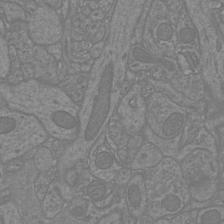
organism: Mouse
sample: Cortical neurons